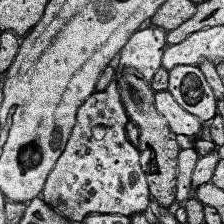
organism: Human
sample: Temporal Lobe